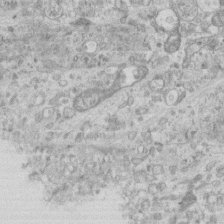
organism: Mouse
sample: Centriole in ependymal cells